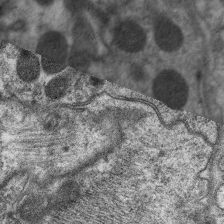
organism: C. elegans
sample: Pharynx